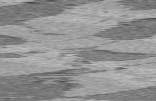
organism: C57BL Mouse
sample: Heart